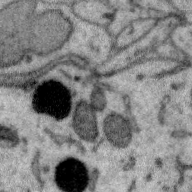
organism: Zebra finch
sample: Brain